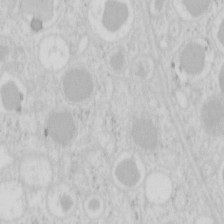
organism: Mouse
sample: Pancreas